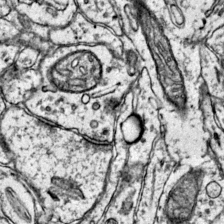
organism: Mouse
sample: Primary visual cortex